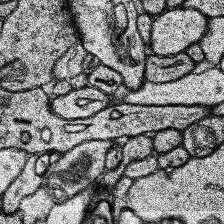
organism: Human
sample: Temporal Lobe